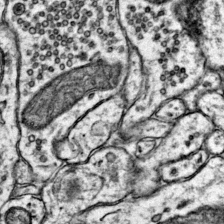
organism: Mouse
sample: Primary visual cortex